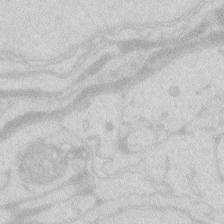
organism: Zebrafish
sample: Macrophage